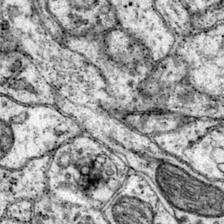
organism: Mouse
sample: Primary visual cortex